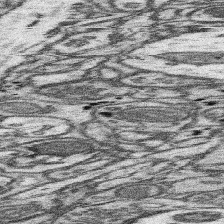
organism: Mouse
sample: Somatosensory cortex neuropil